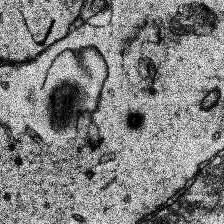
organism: Human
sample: Temporal Lobe